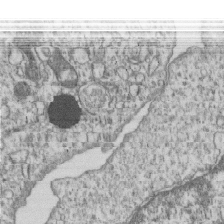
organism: Human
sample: MDA-MB-231 cells